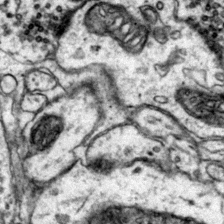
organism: Mouse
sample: Primary visual cortex